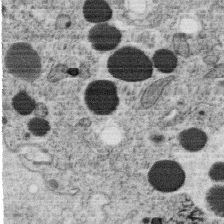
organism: C. elegans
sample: C. elegans oocyte; sperm cells